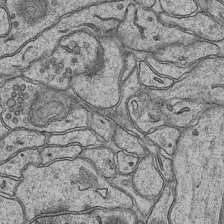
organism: Mouse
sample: CA1 Hippocampus